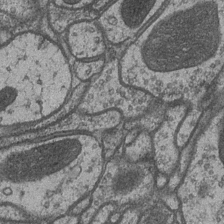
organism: Drosophila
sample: Optic medulla